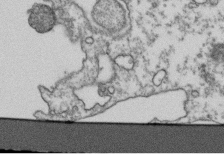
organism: Human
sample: Activated Jurkat CD4+ T cells